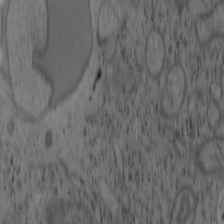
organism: Human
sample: HeLa cells